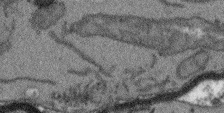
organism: Arabidopsis thaliana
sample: Root tip